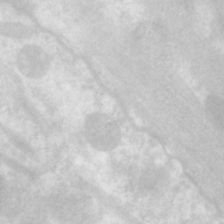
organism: C. elegans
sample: Pharynx